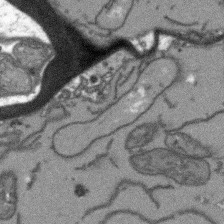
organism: Arabidopsis thaliana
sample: Root tip